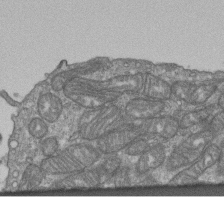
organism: Human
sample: Retinal organoid Rod and Cone cells